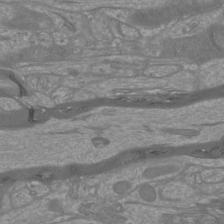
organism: Mouse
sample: Cortical neurons